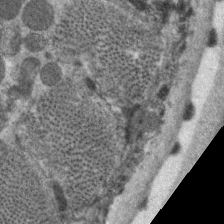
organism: C. elegans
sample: Pharynx